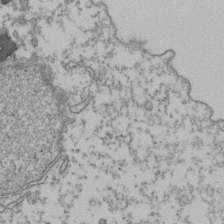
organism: Human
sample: Activated Jurkat CD4+ T cells